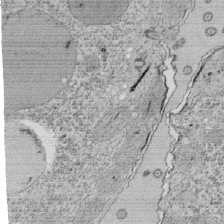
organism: Tetrahymena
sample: Cilia in tetrahymena